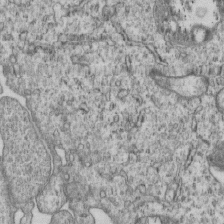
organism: Human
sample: MDA-MB-231 cells